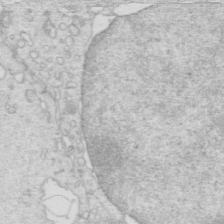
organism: Mouse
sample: Multiciliated cells